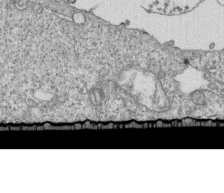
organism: Human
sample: HeLa cell HIV synapse